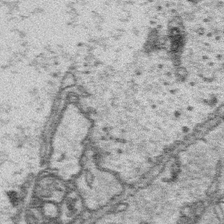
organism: Platynereis dumerilii